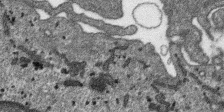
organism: Human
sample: Lung epithelial cells infected with SARS-CoV-2